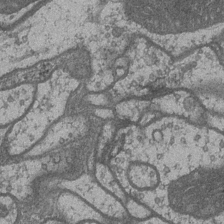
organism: Drosophila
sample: Optic medulla